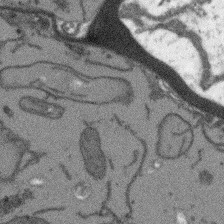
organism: Arabidopsis thaliana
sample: Root tip